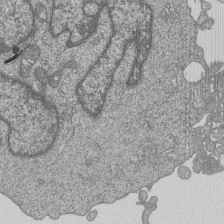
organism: Human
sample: MDA-MB-231 cells